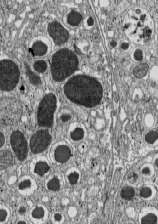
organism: C57BL Mouse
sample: Pancreatic islet